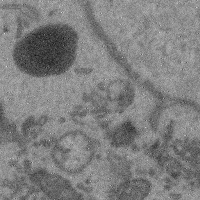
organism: Mouse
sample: Cerebral cortex